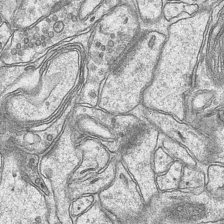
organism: Mouse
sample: CA1 Hippocampus